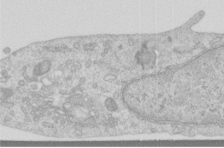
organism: Human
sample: Centriole in RPE cells